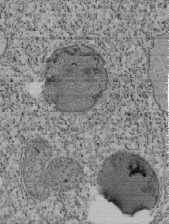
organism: Tetrahymena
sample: Cilia in tetrahymena